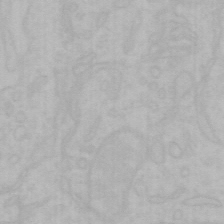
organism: Mouse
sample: Choroid plexus